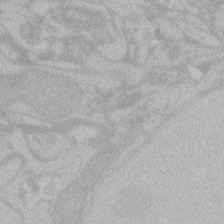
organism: Zebrafish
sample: Macrophage infected with Toxoplasma gondii